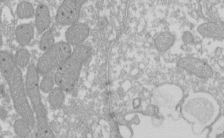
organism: Xenopus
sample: Cilia; centrioles in frog embryo cells